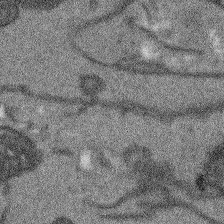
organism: Arabidopsis thaliana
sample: Root tip